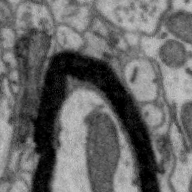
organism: Zebra finch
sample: Brain